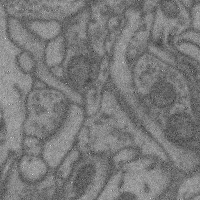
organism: Mouse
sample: Cerebral cortex